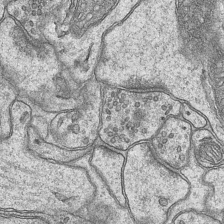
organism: Mouse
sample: CA1 Hippocampus